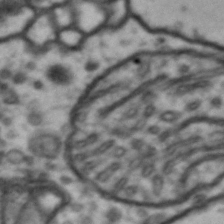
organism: Drosophila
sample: Brain